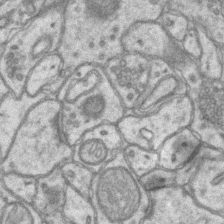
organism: Mouse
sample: CA1 Hippocampus